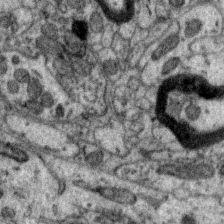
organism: Zebra finch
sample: Brain